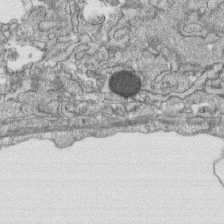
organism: Human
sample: CRL-1474